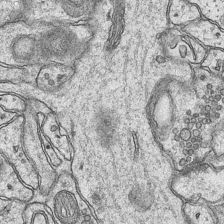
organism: Mouse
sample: CA1 Hippocampus